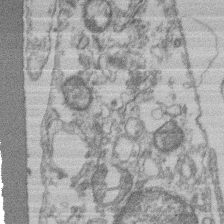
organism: Mouse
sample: T cell stromal cell synapse